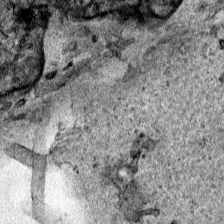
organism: Human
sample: Mitochondria in HCT116 cells